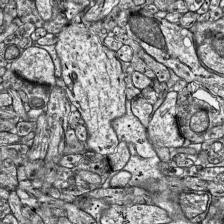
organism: Mouse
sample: Visual Cortex